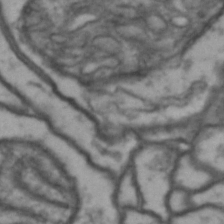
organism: Drosophila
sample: Brain